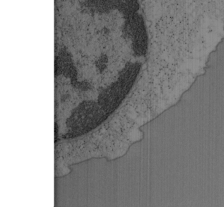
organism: Mouse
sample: OT-I killer T cells with ID8 ovarian cancer cells